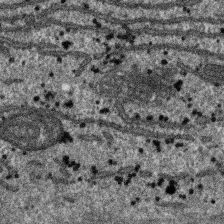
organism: Human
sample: Lung epithelial cells infected with SARS-CoV-2